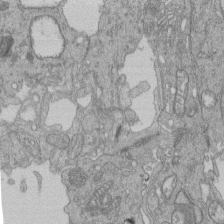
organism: Human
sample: Retinal organoid Rod and Cone cells